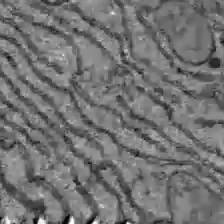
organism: C57BL Mouse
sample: Liver